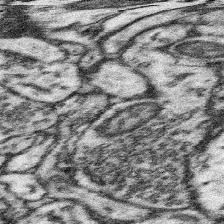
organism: Mouse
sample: Somatosensory cortex neuropil